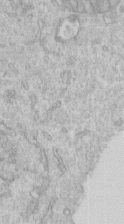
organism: Human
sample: Centriole in RPE cells